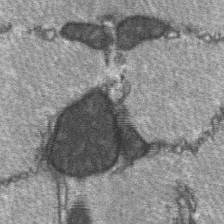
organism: C57BL Mouse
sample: Soleus